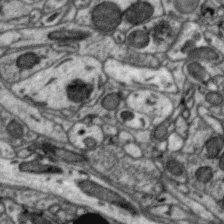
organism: Zebra finch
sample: Brain